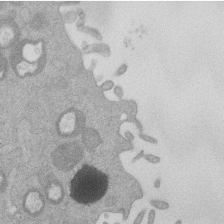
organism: Mouse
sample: Dividing mouse embryo 1 cell stage